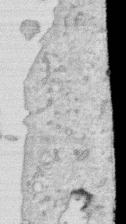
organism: Human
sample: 1205lu cells